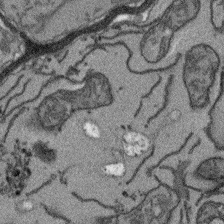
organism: Arabidopsis thaliana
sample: Root tip